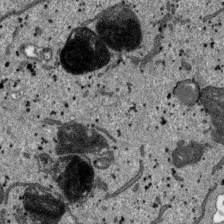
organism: Human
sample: Lung epithelial cells, uninfected (mock) control